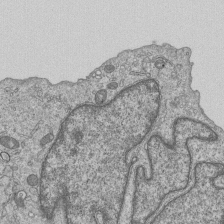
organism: Human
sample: MDA-MB-231 cells